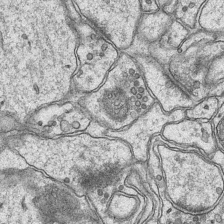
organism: Mouse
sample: CA1 Hippocampus